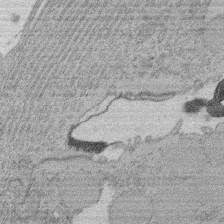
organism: Rat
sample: Salivary granule